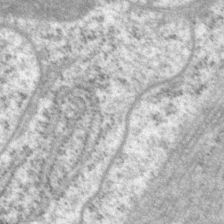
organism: P. pacificus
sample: Pharynx